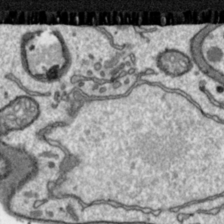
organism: Toxoplasma gondii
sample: Parasites in a vacuole inside a host cell